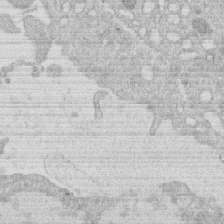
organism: Human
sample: Macrophage cells